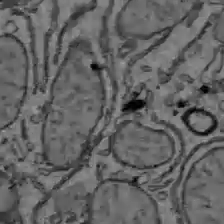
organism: C57BL Mouse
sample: Liver